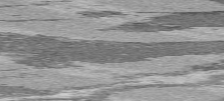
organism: C57BL Mouse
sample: Heart